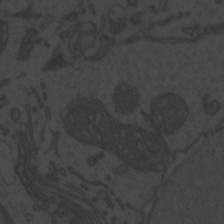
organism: Zebrafish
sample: Macrophage infected with Toxoplasma gondii